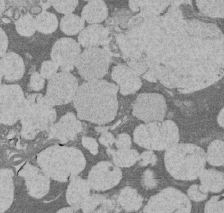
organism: Rat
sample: Salivary granule